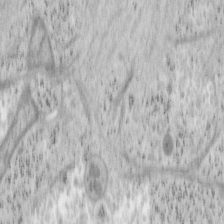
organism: Human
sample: HeLa cells